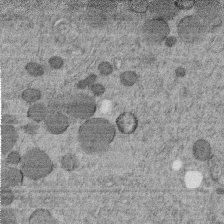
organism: C. elegans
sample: C. elegans embryo early stage